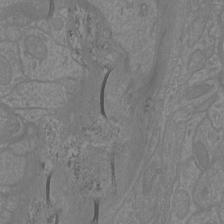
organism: Mouse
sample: Cortical neurons